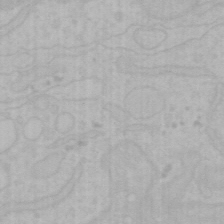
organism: Mouse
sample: Choroid plexus